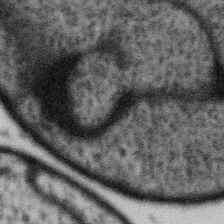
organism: Gemmata obscuriglobus